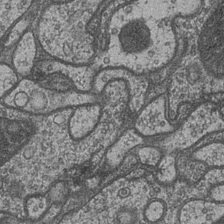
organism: Drosophila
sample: Optic medulla